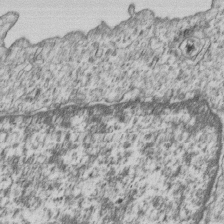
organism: Human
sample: MDA-MB-231 cells